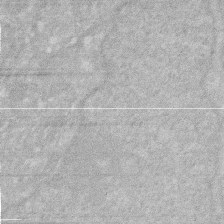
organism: Human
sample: HIV infected U937 cells